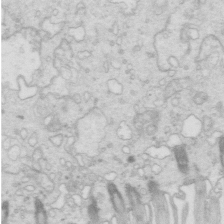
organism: Mouse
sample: Multiciliated cells